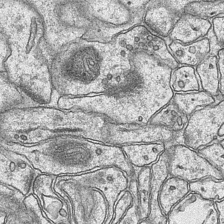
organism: Mouse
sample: CA1 Hippocampus